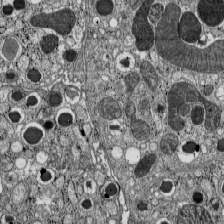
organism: C57BL Mouse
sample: Pancreatic islet